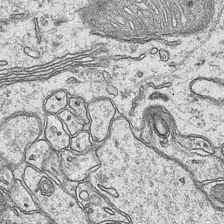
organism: Mouse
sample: CA1 Hippocampus